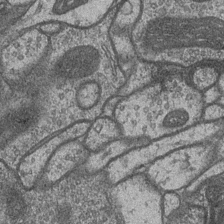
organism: Drosophila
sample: Optic medulla